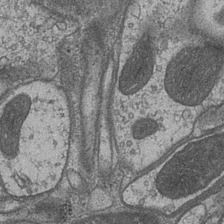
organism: Drosophila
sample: Optic medulla